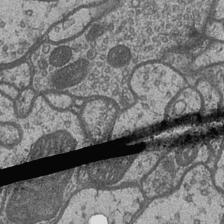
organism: Drosophila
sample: Optic medulla